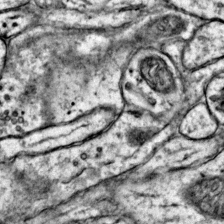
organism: Mouse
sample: Primary visual cortex